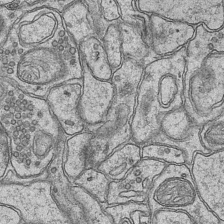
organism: Mouse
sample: CA1 Hippocampus